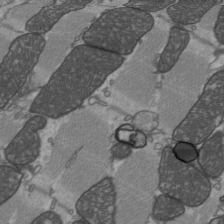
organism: C57BL Mouse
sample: Heart